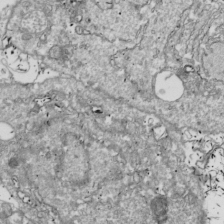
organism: Drosophila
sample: Cell division; meiosis; drosophila spermatocytes